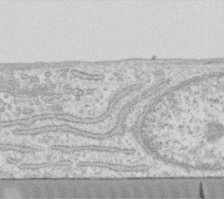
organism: Human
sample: Fibroblast cells